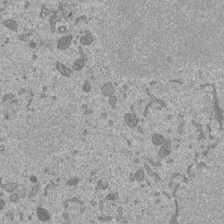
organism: Mouse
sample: ED-1 cell nuclei; centrioles